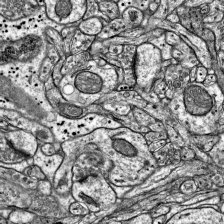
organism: Mouse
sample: Visual Cortex